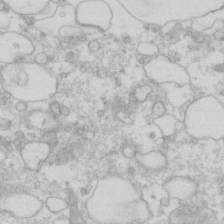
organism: Human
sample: Fibroblast cells